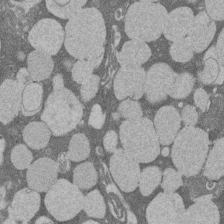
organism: Rat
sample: Salivary granule